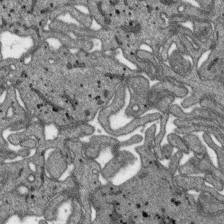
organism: Human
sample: Lung epithelial cells, uninfected (mock) control